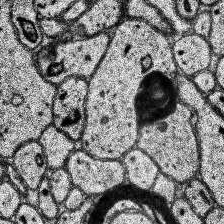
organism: Human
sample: Temporal Lobe